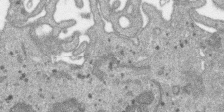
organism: Human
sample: Lung epithelial cells infected with SARS-CoV-2